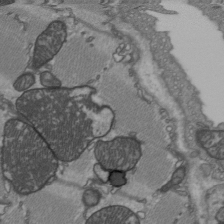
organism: C57BL Mouse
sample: Heart